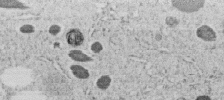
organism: C. elegans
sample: C. elegans embryo early stage